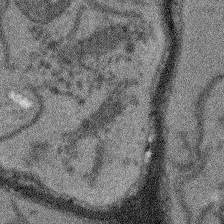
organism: Arabidopsis thaliana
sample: Root tip